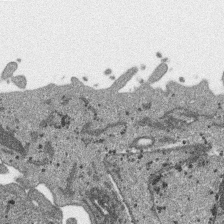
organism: Human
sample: Lung epithelial cells infected with SARS-CoV-2